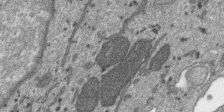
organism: Human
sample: Lung epithelial cells infected with SARS-CoV-2